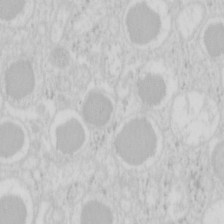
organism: Mouse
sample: Pancreas